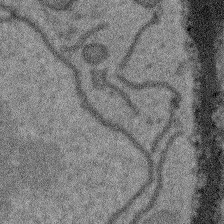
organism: Arabidopsis thaliana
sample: Root tip